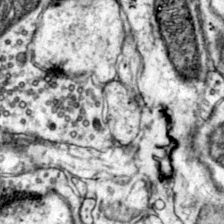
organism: Mouse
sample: Primary visual cortex